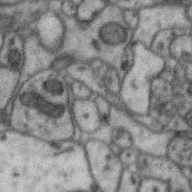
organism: Zebra finch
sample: Brain